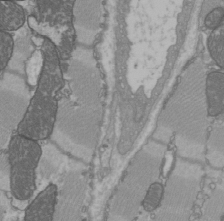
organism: C57BL Mouse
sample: Heart